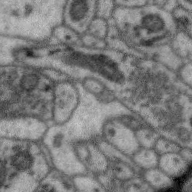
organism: Zebra finch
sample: Brain